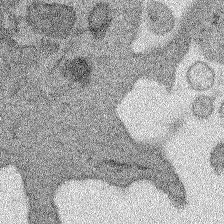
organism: Human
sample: HeLa cells